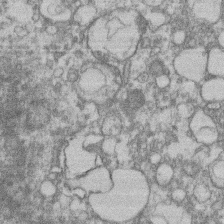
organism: Mouse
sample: T cell stromal cell synapse